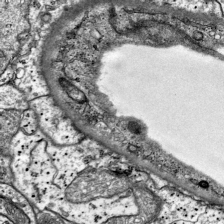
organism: Mouse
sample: Visual Cortex